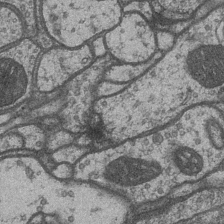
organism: Drosophila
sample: Optic medulla